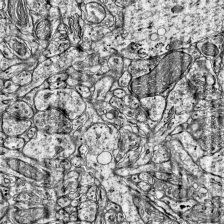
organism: Mouse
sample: Visual Cortex